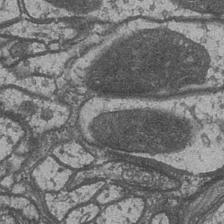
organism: Drosophila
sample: Optic medulla